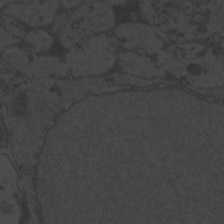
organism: Zebrafish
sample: Macrophage infected with Toxoplasma gondii